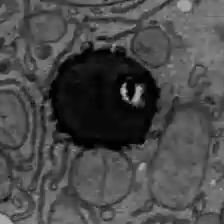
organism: C57BL Mouse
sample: Liver